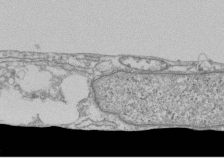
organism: Human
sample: Fibroblast cells